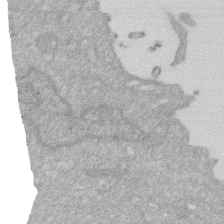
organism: Human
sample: HIV infected U937 cells